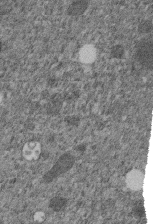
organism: C. elegans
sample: C. elegans embryo early stage